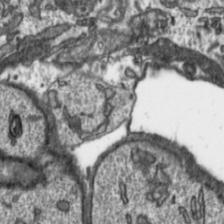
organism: Toxoplasma gondii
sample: Parasites in a vacuole inside a host cell